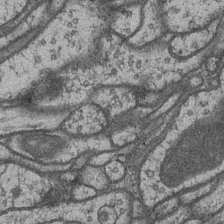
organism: Drosophila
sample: Optic medulla